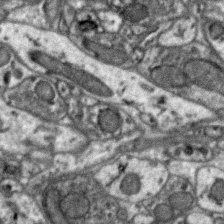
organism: Zebra finch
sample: Brain